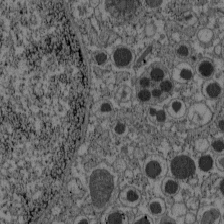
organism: C57BL Mouse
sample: Pancreatic islet